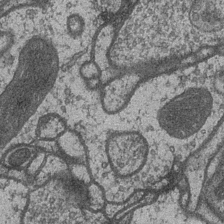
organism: Drosophila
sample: Optic medulla